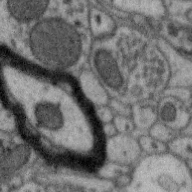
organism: Zebra finch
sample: Brain